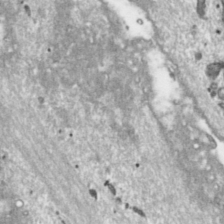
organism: Toxoplasma gondii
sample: Parasites in a vacuole inside a host cell